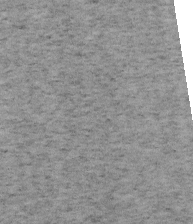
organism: Mouse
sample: OT-I killer T cells with ID8 ovarian cancer cells